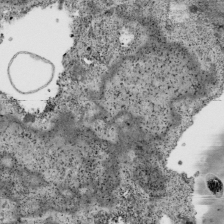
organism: Human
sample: Mitochondria in HCT116 cells